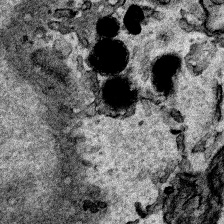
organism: Human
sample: Mitochondria in HCT116 cells